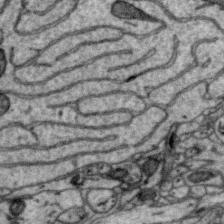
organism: Zebra finch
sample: Brain